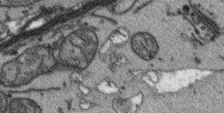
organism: Arabidopsis thaliana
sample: Root tip